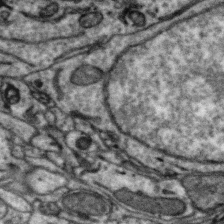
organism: Zebra finch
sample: Brain